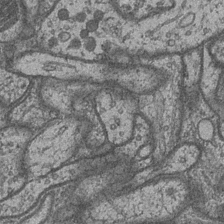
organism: Drosophila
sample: Optic medulla